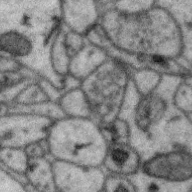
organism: Zebra finch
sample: Brain